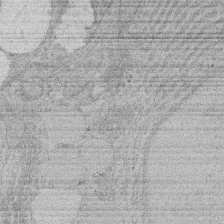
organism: Rat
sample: Salivary granule